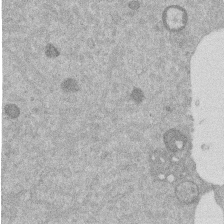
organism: Mouse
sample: Dividing mouse embryo 1 cell stage